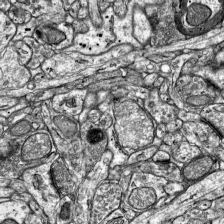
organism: Mouse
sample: Visual Cortex